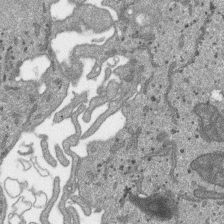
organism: Human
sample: Lung epithelial cells infected with SARS-CoV-2